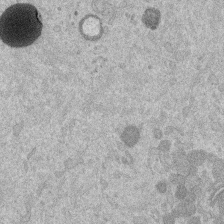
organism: Mouse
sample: Dividing mouse embryo 1 cell stage